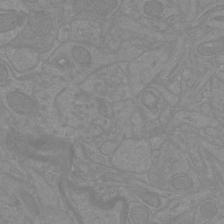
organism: Mouse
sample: Cortical neurons